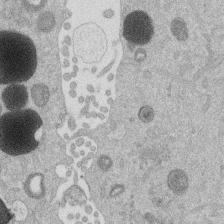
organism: Mouse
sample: Dividing mouse embryo 1 cell stage